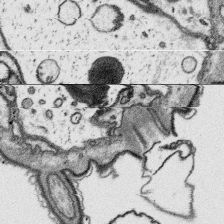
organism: Platynereis dumerilii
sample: Parapodia